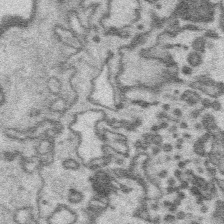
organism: Platynereis dumerilii